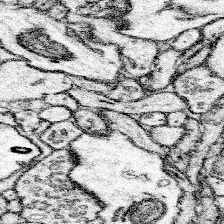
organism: Mouse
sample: Somatosensory cortex neuropil